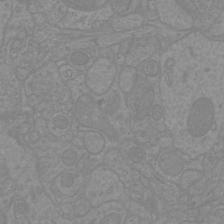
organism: Mouse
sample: Cortical neurons